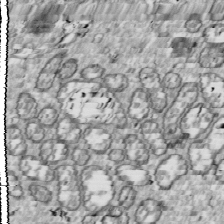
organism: Drosophila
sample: Cell division; meiosis; drosophila spermatocytes